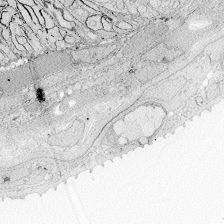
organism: Zebrafish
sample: Whole-Brain